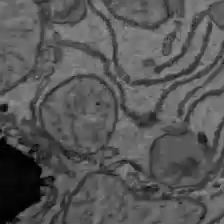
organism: C57BL Mouse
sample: Liver